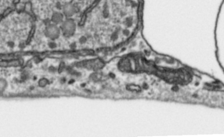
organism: Toxoplasma gondii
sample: Parasites in a vacuole inside a host cell